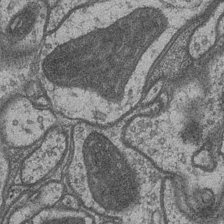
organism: Drosophila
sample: Optic medulla